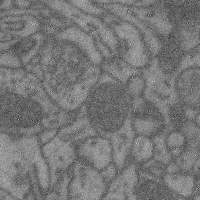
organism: Mouse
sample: Cerebral cortex